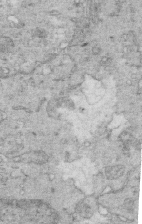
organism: Mouse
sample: Multiciliated cells